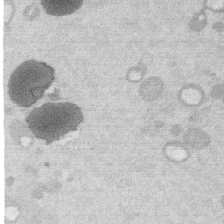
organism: Mouse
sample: Dividing mouse embryo 1 cell stage